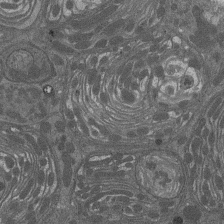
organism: Drosophila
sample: Antenna